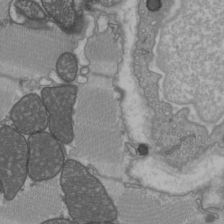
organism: C57BL Mouse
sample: Heart